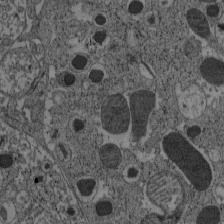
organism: C57BL Mouse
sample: Pancreatic islet